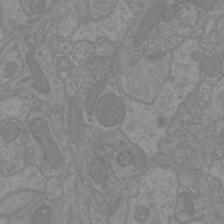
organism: Mouse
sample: Cortical neurons